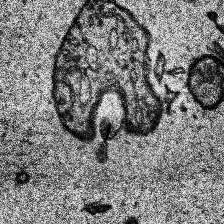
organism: Human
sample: Temporal Lobe